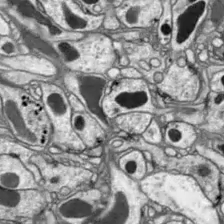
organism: Drosophila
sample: Optic lobe